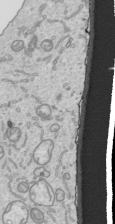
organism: Human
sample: Mitochondria in HCT116 cells